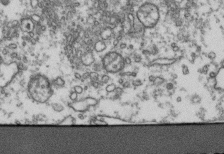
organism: Human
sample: Activated Jurkat CD4+ T cells